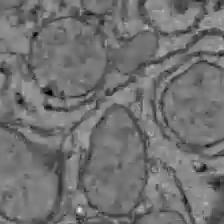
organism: C57BL Mouse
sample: Liver